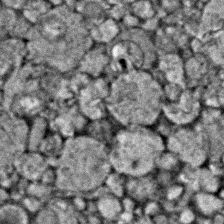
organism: Zebrafish